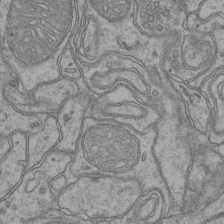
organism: Mouse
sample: CA1 Hippocampus